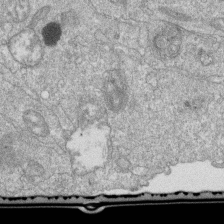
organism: Human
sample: HeLa cell HIV synapse